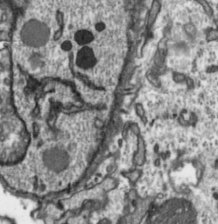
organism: Toxoplasma gondii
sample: Parasites in a vacuole inside a host cell